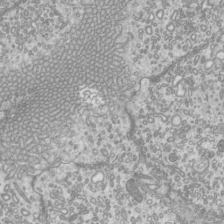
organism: Mouse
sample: Cilia; mouse epididymis